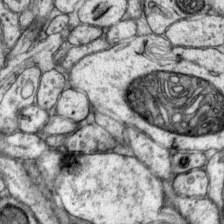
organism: Mouse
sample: Primary visual cortex